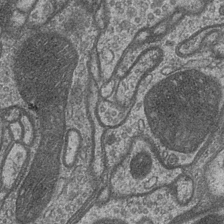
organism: Drosophila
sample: Optic medulla